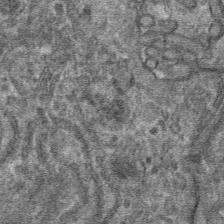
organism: Mouse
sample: Mouse hepatocytes